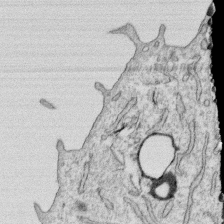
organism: Human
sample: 1205lu cells